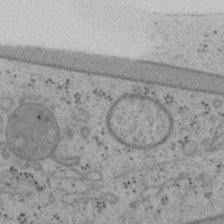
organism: Human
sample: HeLa cells